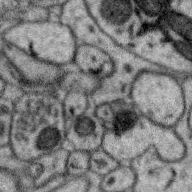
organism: Zebra finch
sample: Brain